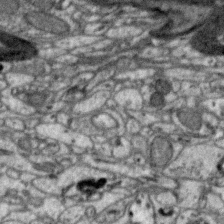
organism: Zebra finch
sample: Brain